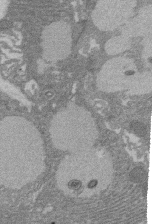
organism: Rat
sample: Salivary granule